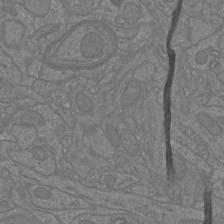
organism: Mouse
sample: Cortical neurons